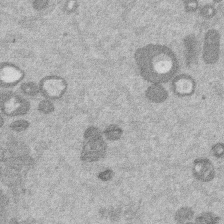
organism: Mouse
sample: Dividing mouse embryo 1 cell stage